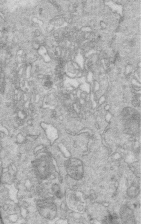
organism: Mouse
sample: Multiciliated cells